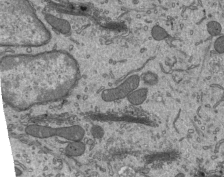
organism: Mouse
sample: Mouse epididymis efferent ductule cilia